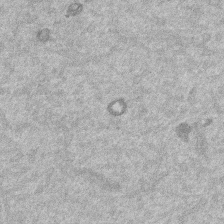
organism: Mouse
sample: Dividing mouse embryo 1 cell stage